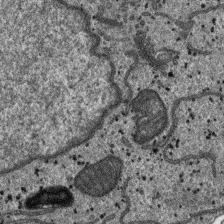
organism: Human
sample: Lung epithelial cells infected with SARS-CoV-2